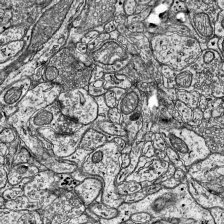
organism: Mouse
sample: Visual Cortex